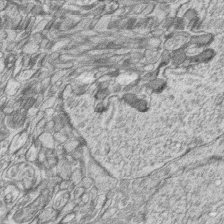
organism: Zebrafish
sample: synaptic ribbons in rod cells and cone cells